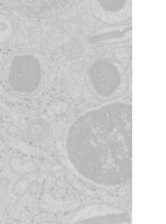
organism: Mouse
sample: Pancreas